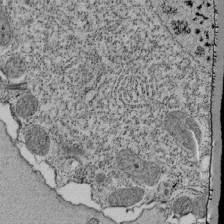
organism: Tetrahymena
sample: Cilia in tetrahymena